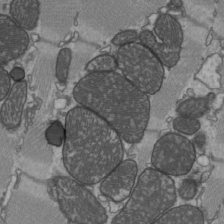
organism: C57BL Mouse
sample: Heart